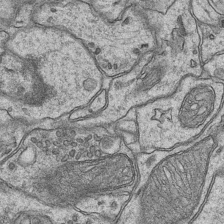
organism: Mouse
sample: CA1 Hippocampus